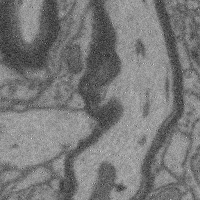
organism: Mouse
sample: Cerebral cortex